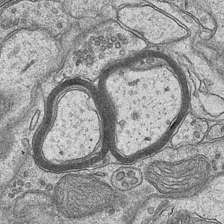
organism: Mouse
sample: CA1 Hippocampus